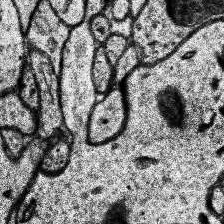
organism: Human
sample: Temporal Lobe